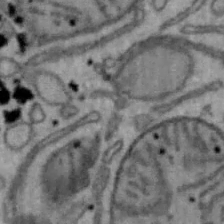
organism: Mouse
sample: Liver